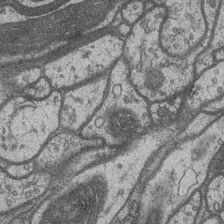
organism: Drosophila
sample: Optic medulla